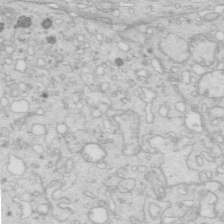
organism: Mouse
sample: Multiciliated cells